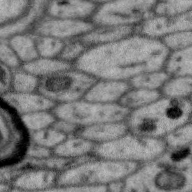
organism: Zebra finch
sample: Brain